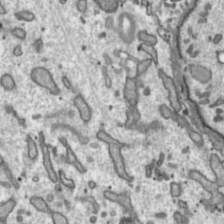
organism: Toxoplasma gondii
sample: Parasites in a vacuole inside a host cell